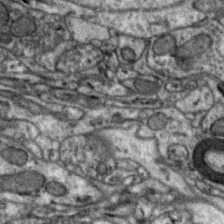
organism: Zebra finch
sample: Brain